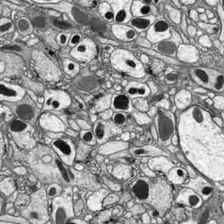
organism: Drosophila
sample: Optic lobe